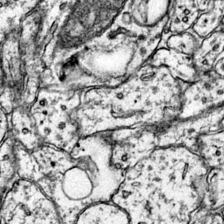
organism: Mouse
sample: Primary visual cortex